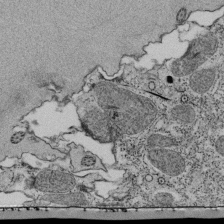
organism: Tetrahymena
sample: Cilia in tetrahymena